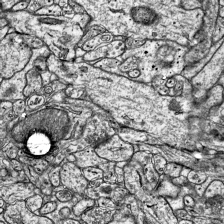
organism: Mouse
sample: Visual Cortex